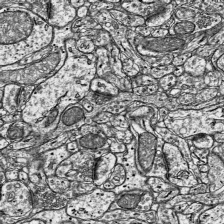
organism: Mouse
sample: Visual Cortex